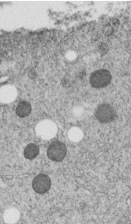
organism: C. elegans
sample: C. elegans embryo early stage